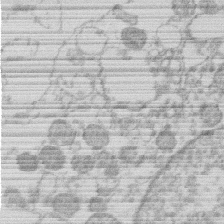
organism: Human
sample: Macrophage cells